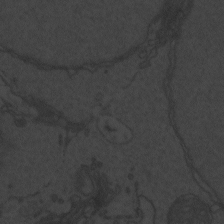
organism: Zebrafish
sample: Macrophage infected with Toxoplasma gondii